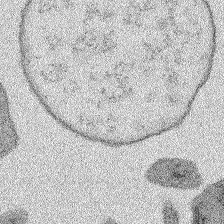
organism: Human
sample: HeLa cells